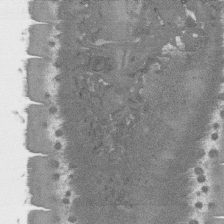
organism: C. elegans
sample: AFD neurons C. elegans